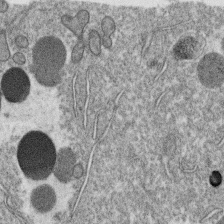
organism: C. elegans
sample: C. elegans oocyte; sperm cells